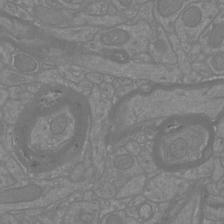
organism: Mouse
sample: Cortical neurons